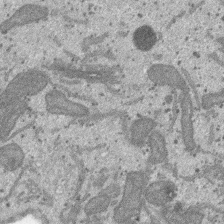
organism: Human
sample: Lung epithelial cells infected with SARS-CoV-2